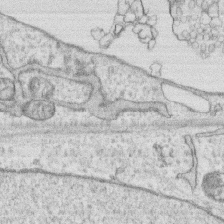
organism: Human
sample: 1205lu cells